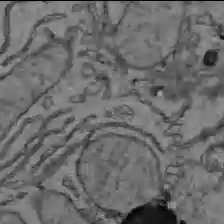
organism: C57BL Mouse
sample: Liver